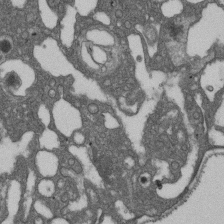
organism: Drosophila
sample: Nephrocyte